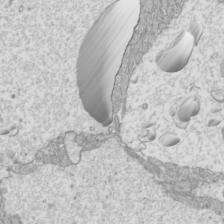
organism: Mouse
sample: Cilia; mouse epididymis